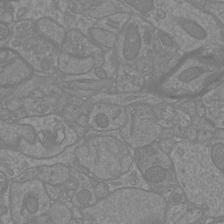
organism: Mouse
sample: Cortical neurons